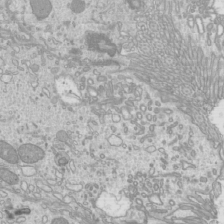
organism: Mouse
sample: Cilia; mouse epididymis